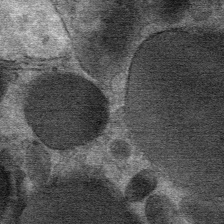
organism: Mouse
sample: Mouse Salivary gland